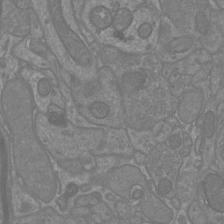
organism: Mouse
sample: Cortical neurons